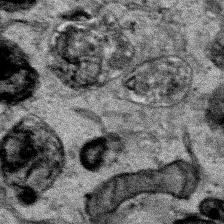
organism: Human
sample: Mitochondria in HCT116 cells